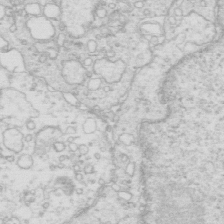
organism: Mouse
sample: Multiciliated cells